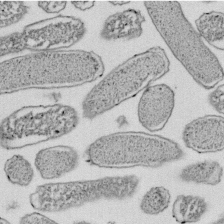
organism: E. coli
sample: Bacterial nucleoid